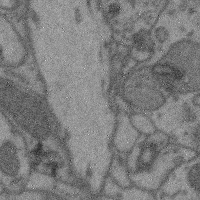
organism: Mouse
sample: Cerebral cortex